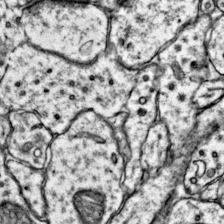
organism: Mouse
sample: Primary visual cortex